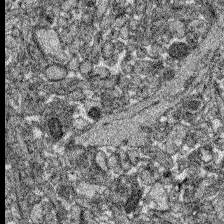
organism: Zebrafish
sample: Larval olfactory bulb